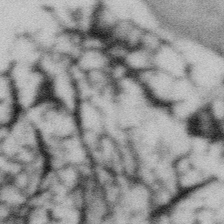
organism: Gemmata obscuriglobus